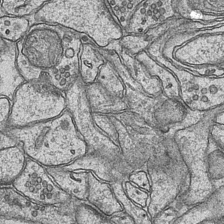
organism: Mouse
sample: CA1 Hippocampus